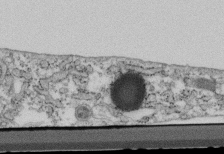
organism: Mouse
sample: Cilia; retinal pigment epithelium